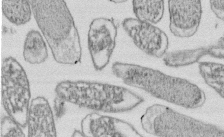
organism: E. coli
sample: Bacterial nucleoid